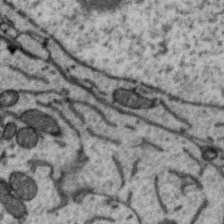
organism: Zebra finch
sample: Brain